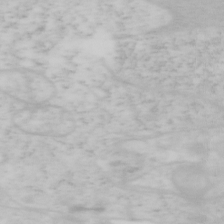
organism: Mouse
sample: OT-I killer T cells with ID8 ovarian cancer cells